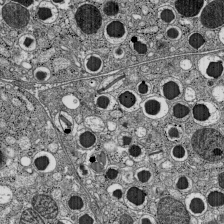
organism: C57BL Mouse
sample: Pancreatic islet